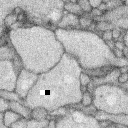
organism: Rabbit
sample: Retina